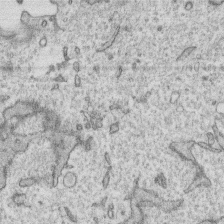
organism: Human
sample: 1205lu cells